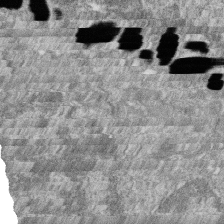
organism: Zebrafish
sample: Cilia; retinal pigment epithelium